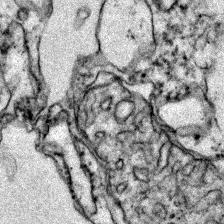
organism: Zebrafish